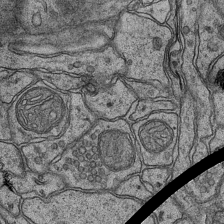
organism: Mouse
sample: CA1 Hippocampus